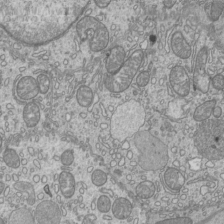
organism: Mouse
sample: Cilia; mouse epididymis